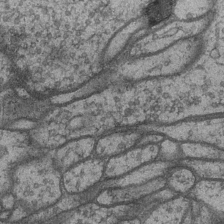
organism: Drosophila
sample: Optic medulla